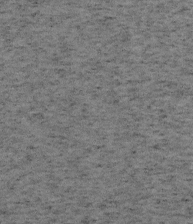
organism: Mouse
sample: OT-I killer T cells with ID8 ovarian cancer cells